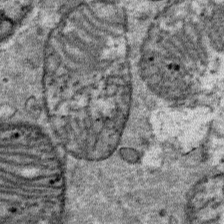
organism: Mouse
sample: Mouse Salivary gland